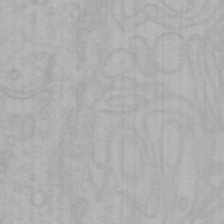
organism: Mouse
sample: Choroid plexus